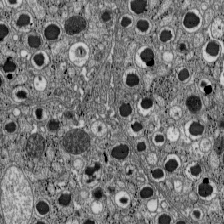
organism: C57BL Mouse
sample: Pancreatic islet